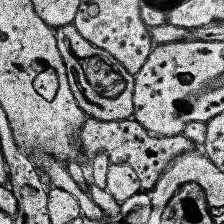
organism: Human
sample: Temporal Lobe